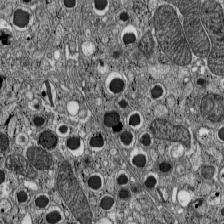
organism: C57BL Mouse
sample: Pancreatic islet